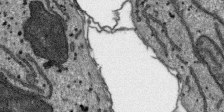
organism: Human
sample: Lung epithelial cells, uninfected (mock) control